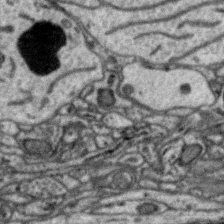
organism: Zebra finch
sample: Brain